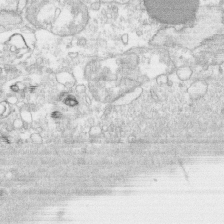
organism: Human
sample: CRL-1474